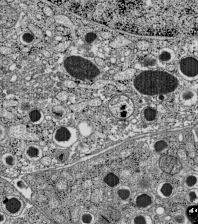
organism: C57BL Mouse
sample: Pancreatic islet